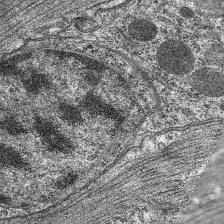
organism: C. elegans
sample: Pharynx